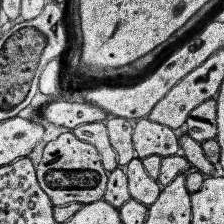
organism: Human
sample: Temporal Lobe